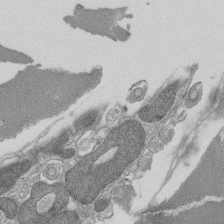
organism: Tetrahymena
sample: Cilia in tetrahymena